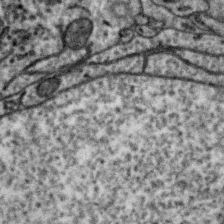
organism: Zebra finch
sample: Brain